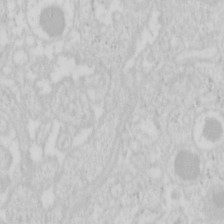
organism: Mouse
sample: Pancreas